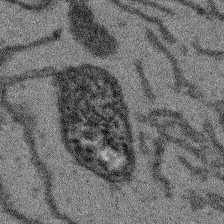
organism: Arabidopsis thaliana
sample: Root tip